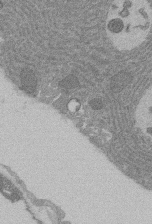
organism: Rat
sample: Salivary granule